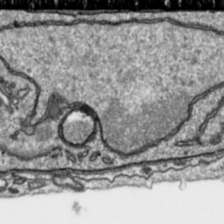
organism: Toxoplasma gondii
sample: Parasites in a vacuole inside a host cell